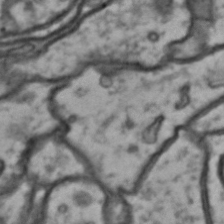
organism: Drosophila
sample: Brain